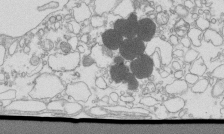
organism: Mouse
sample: Macrophages